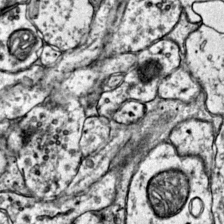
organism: Mouse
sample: Primary visual cortex